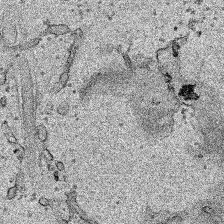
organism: Human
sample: Mitochondria in HCT116 cells